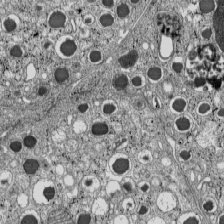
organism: C57BL Mouse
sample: Pancreatic islet